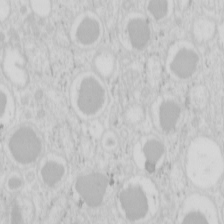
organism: Mouse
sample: Pancreas